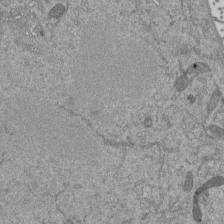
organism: Mouse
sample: ED-1 cell nuclei; centrioles